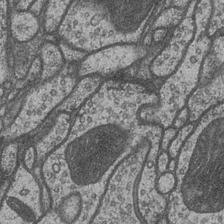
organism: Drosophila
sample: Optic medulla